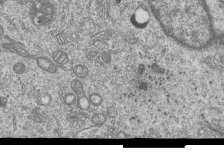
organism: Human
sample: MDA-MB-231 cells